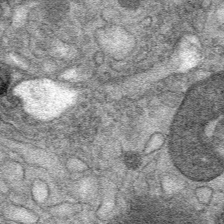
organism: Mouse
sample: Mouse Salivary gland